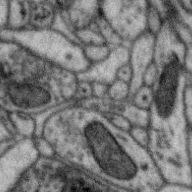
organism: Zebra finch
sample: Brain